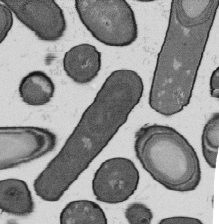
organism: B. subtilis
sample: Bacterial spore